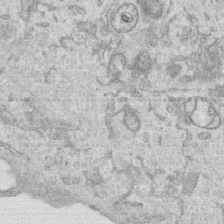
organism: Human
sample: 1205lu cells